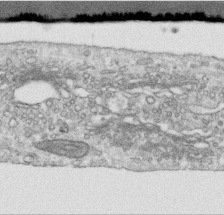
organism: Human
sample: Centriole in RPE cells